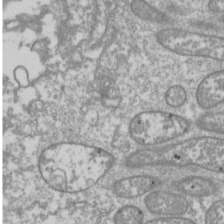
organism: Drosophila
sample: Cell division; meiosis; drosophila spermatocytes